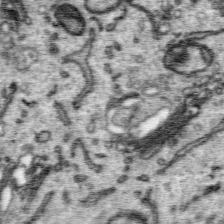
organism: Human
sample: HeLa cells